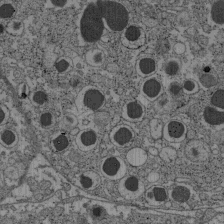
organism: C57BL Mouse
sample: Pancreatic islet